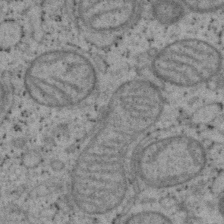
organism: Human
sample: HeLa cells